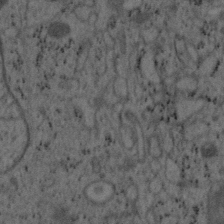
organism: Human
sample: HeLa cells